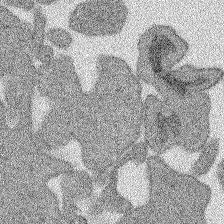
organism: Human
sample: HeLa cells